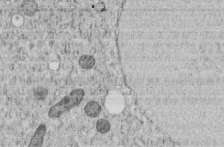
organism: C. elegans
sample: C. elegans embryo early stage